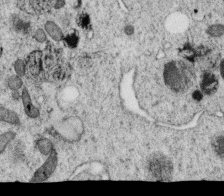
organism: C. elegans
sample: C. elegans oocyte; sperm cells